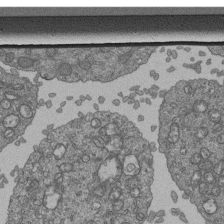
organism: Human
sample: Retinal organoid Rod and Cone cells